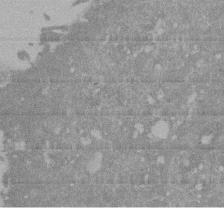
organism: Mouse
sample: ED-1 cell nuclei; centrioles